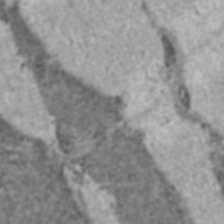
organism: C57BL Mouse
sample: Heart